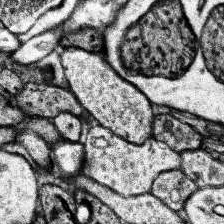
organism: Human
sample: Temporal Lobe